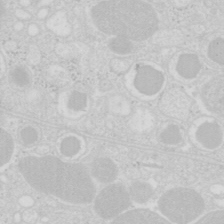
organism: Mouse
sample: Pancreas